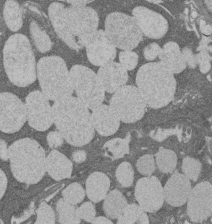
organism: Rat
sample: Salivary granule